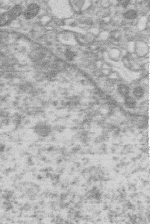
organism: Human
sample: Macrophage cells